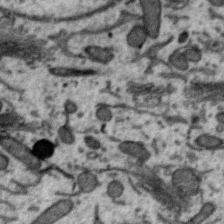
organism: Zebra finch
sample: Brain